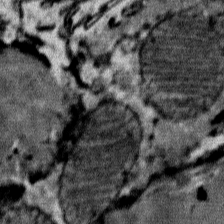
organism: Mouse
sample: Mouse Salivary gland